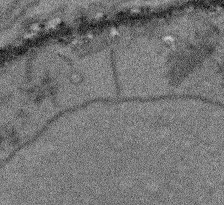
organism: Arabidopsis thaliana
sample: Root tip